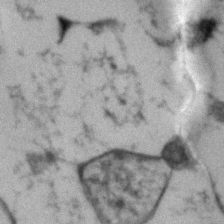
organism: Human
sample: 1205lu cells